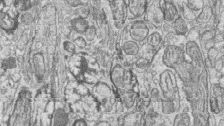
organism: Zebrafish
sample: synaptic ribbons in rod cells and cone cells